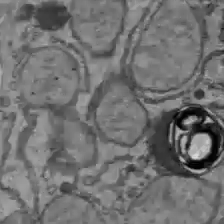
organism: C57BL Mouse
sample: Liver